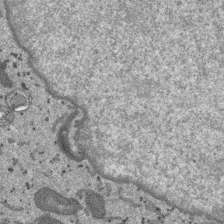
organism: Human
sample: Lung epithelial cells infected with SARS-CoV-2